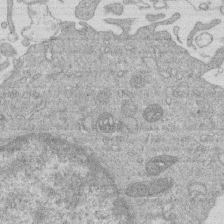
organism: Human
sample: Macrophage cells